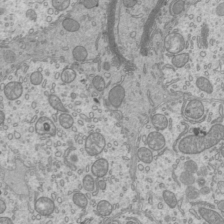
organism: Mouse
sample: Cilia; mouse epididymis